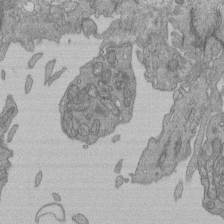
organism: Human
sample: Retinal organoid Rod and Cone cells